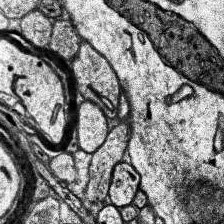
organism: Human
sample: Temporal Lobe